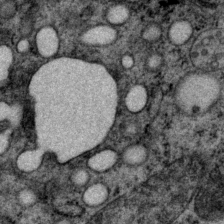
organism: P. pacificus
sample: Pharynx